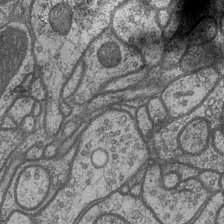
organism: Drosophila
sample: Optic medulla